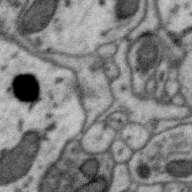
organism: Zebra finch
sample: Brain